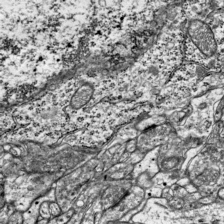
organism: Mouse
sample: Visual Cortex